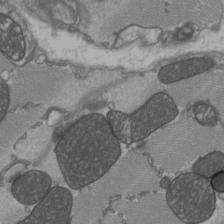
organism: C57BL Mouse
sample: Heart